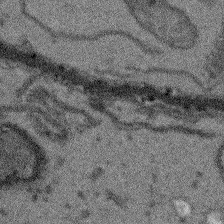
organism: Arabidopsis thaliana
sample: Root tip